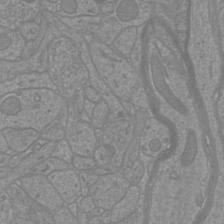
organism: Mouse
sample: Cortical neurons